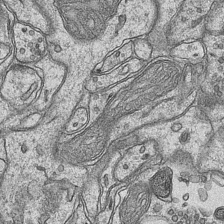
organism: Mouse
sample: CA1 Hippocampus